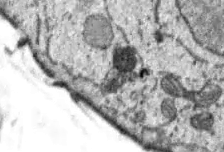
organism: Human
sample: HeLa cells